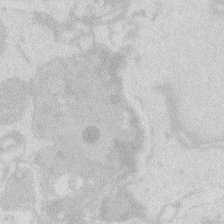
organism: Zebrafish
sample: Macrophage